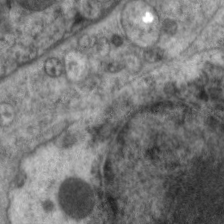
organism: C. elegans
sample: Pharynx